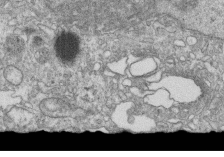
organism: Human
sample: HeLa cell HIV synapse